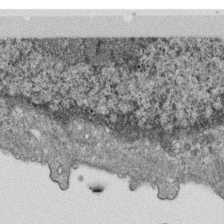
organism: African green monkey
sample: Vero E6 cells infected with SARS-CoV-2